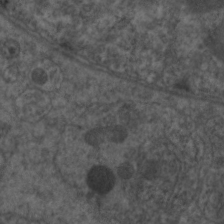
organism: C. elegans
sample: Pharynx